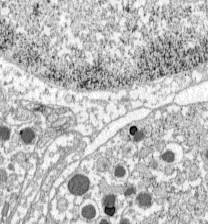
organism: C57BL Mouse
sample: Pancreatic islet